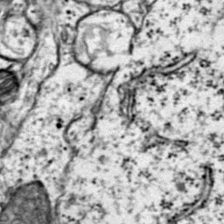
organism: Mouse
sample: Primary visual cortex